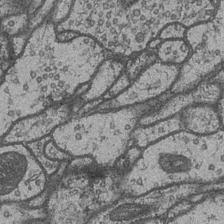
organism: Drosophila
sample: Optic medulla